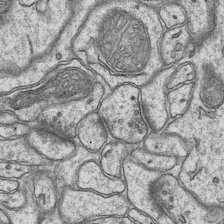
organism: Mouse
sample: CA1 Hippocampus